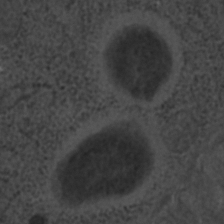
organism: C. elegans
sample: C. elegans embryo